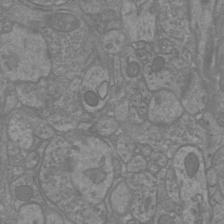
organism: Mouse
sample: Cortical neurons